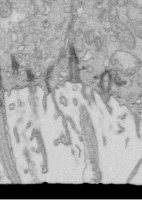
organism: Mouse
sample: Multiciliated cells